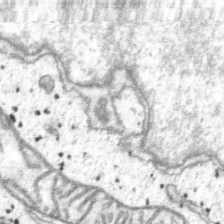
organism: Human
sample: HeLa cells